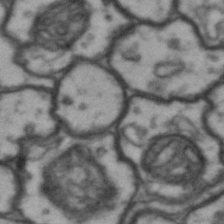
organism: Drosophila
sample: Brain